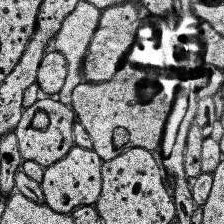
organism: Human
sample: Temporal Lobe